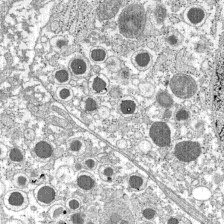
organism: C57BL Mouse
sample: Pancreatic islet